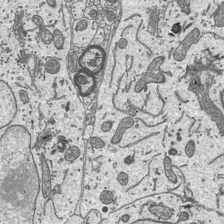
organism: Mouse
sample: Suprachiasmatic nucleus